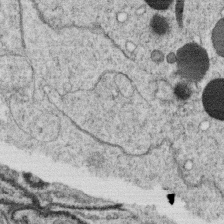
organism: C. elegans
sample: C. elegans oocyte; sperm cells